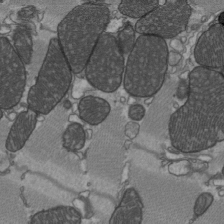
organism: C57BL Mouse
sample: Heart